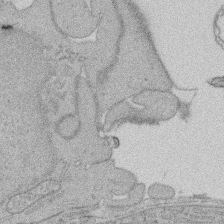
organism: Rat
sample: Salivary granule